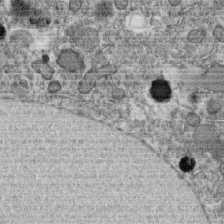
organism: C. elegans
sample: C. elegans oocyte; sperm cells